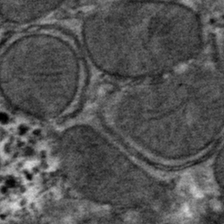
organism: Mouse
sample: Mouse hepatocytes